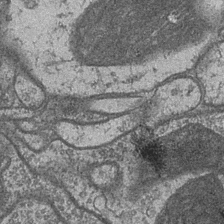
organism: Drosophila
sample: Optic medulla